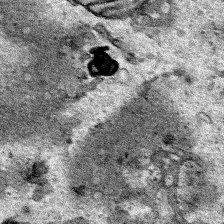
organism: Human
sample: Mitochondria in HCT116 cells